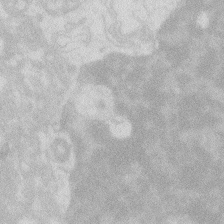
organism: Zebrafish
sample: Macrophage